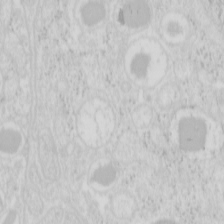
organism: Mouse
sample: Pancreas